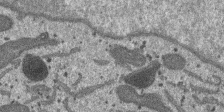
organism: Human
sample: Lung epithelial cells infected with SARS-CoV-2